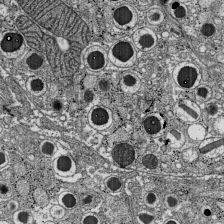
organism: C57BL Mouse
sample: Pancreatic islet